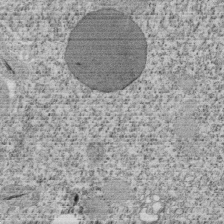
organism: Tetrahymena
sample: Cilia in tetrahymena